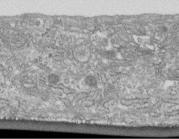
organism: Human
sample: Centriole in fibroblast cells